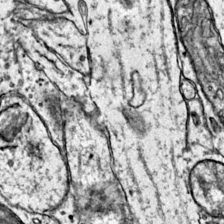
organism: Mouse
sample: Primary visual cortex